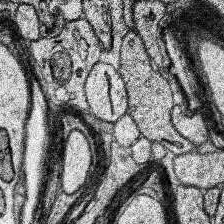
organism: Human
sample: Temporal Lobe